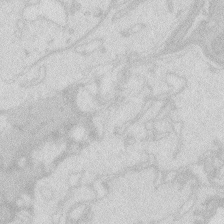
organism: Zebrafish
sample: Macrophage